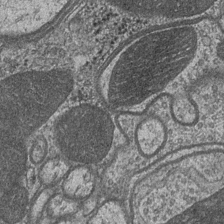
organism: Drosophila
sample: Optic medulla